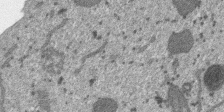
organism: Human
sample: Lung epithelial cells infected with SARS-CoV-2